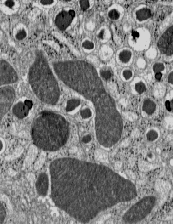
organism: C57BL Mouse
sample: Pancreatic islet